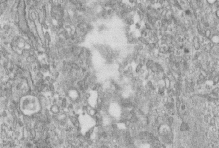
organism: Human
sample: Centriole in fibroblast cells